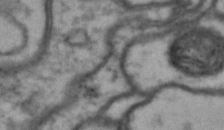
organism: Drosophila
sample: Brain